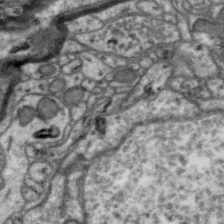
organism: Zebra finch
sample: Brain